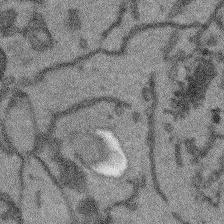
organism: Arabidopsis thaliana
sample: Root tip